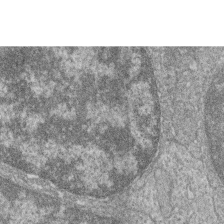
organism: Zebrafish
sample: Cilia; retinal pigment epithelium